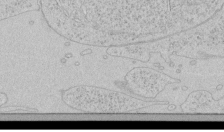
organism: Human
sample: Mitochondria in HCT116 cells